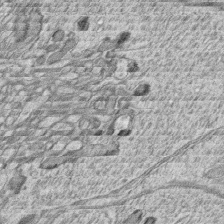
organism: Zebrafish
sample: synaptic ribbons in rod cells and cone cells